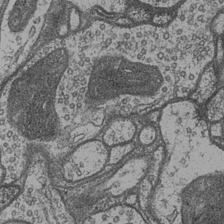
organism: Drosophila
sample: Optic medulla